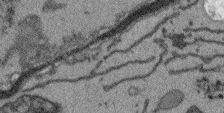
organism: Arabidopsis thaliana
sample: Root tip